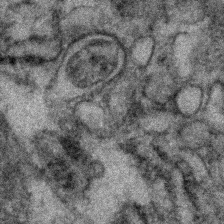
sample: Kidney